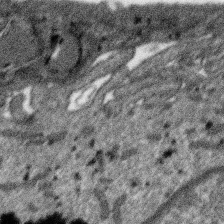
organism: Human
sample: Lung epithelial cells infected with SARS-CoV-2